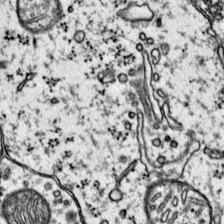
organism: Mouse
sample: Primary visual cortex